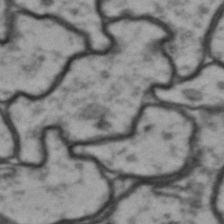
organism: Drosophila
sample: Brain